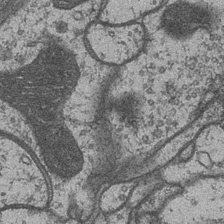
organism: Drosophila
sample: Optic medulla